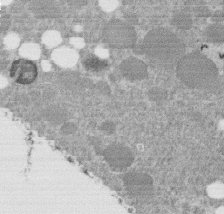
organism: C. elegans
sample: C. elegans embryo early stage